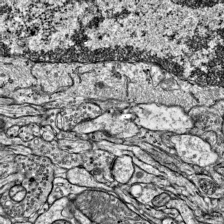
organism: Mouse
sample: Visual Cortex